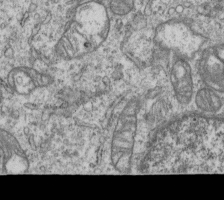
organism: Human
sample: MDA-MB-231 cells